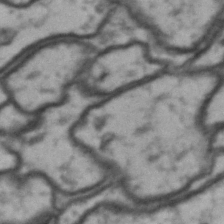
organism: Drosophila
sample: Brain